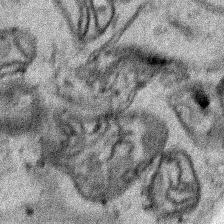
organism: Human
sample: Mitochondria in HCT116 cells